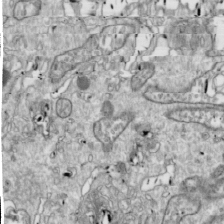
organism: Drosophila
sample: Cell division; meiosis; drosophila spermatocytes